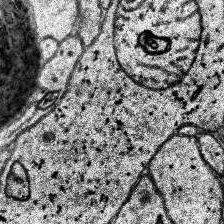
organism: Human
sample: Temporal Lobe